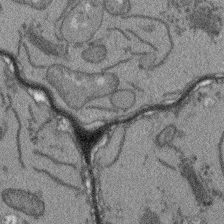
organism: Arabidopsis thaliana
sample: Root tip